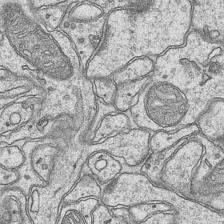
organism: Mouse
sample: CA1 Hippocampus